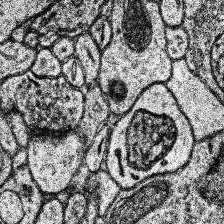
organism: Human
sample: Temporal Lobe